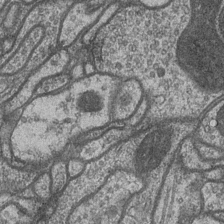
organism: Drosophila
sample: Optic medulla